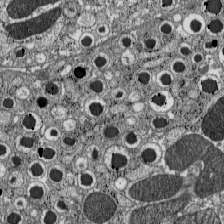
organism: C57BL Mouse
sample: Pancreatic islet